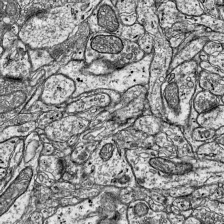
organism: Mouse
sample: Visual Cortex